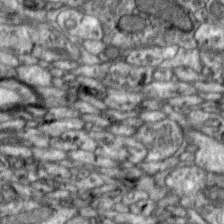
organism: Zebra finch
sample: Brain